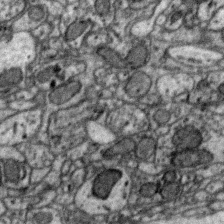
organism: Zebra finch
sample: Brain